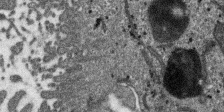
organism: Human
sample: Lung epithelial cells infected with SARS-CoV-2